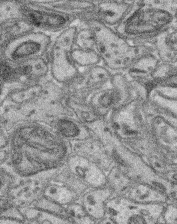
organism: Mouse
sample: Retina